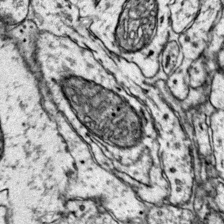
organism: Mouse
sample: Primary visual cortex